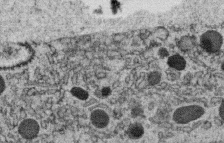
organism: C. elegans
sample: C. elegans oocyte; sperm cells